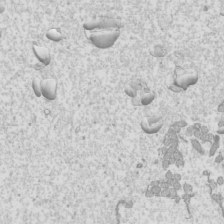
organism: Mouse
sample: Cilia; mouse epididymis